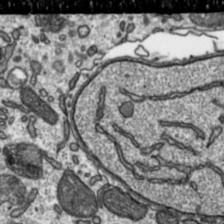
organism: Toxoplasma gondii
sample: Parasites in a vacuole inside a host cell